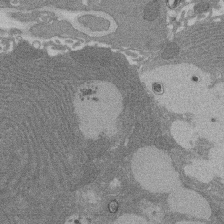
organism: Rat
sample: Salivary granule